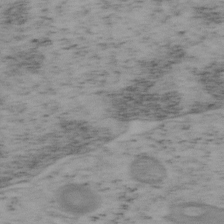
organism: Mouse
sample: OT-I killer T cells with ID8 ovarian cancer cells